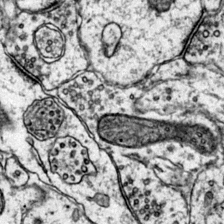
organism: Mouse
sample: Primary visual cortex